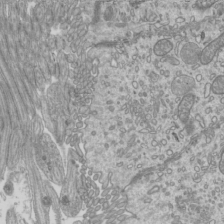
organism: Mouse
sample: Cilia; mouse epididymis